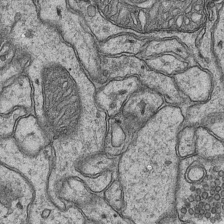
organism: Mouse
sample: CA1 Hippocampus